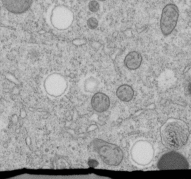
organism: C. elegans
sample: C. elegans embryo early stage